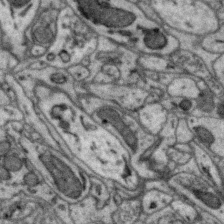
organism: Zebra finch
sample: Brain